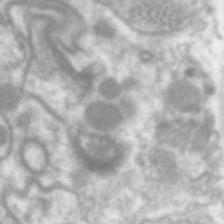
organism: C. elegans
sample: Pharynx